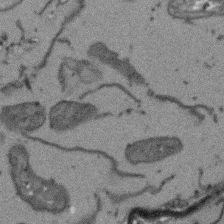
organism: Arabidopsis thaliana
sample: Root tip